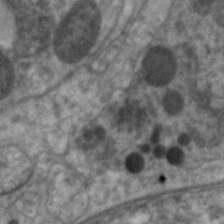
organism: C. elegans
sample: Pharynx